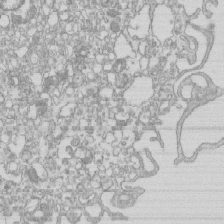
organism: Mouse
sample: Macrophages